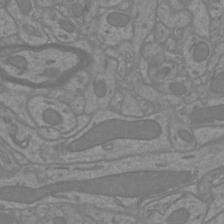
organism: Mouse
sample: Cortical neurons